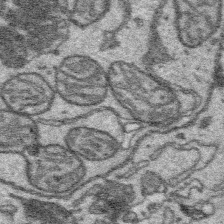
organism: Platynereis dumerilii